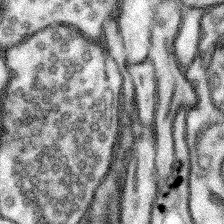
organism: Mouse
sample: Somatosensory cortex neuropil